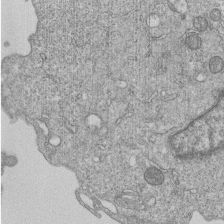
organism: Human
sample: MDA-MB-231 cells